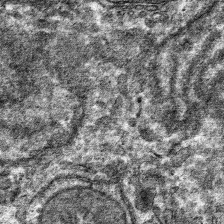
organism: Mouse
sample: Mouse hepatocytes